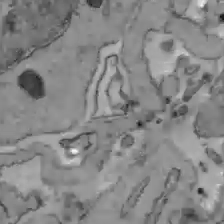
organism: C57BL Mouse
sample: Liver